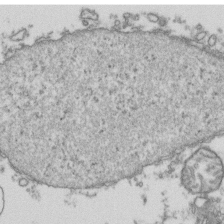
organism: Human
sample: Activated Jurkat CD4+ T cells